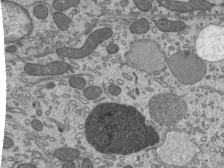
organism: Mouse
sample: Mouse epididymis efferent ductule cilia